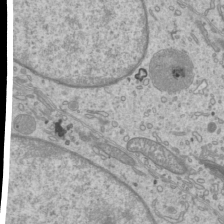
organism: Mouse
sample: Cilia; mouse epididymis